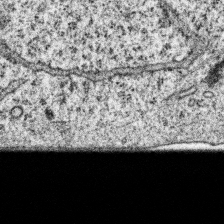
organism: Human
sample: HeLa cells